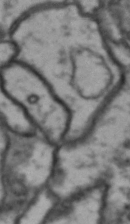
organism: Drosophila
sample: Brain